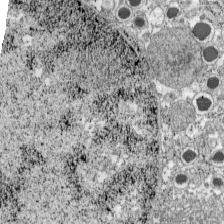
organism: C57BL Mouse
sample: Pancreatic islet